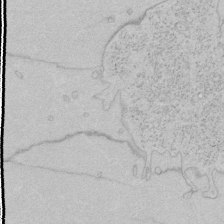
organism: Human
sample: Mitochondria in HCT116 cells